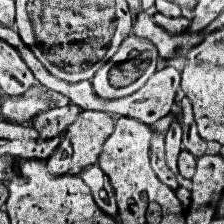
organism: Human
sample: Temporal Lobe